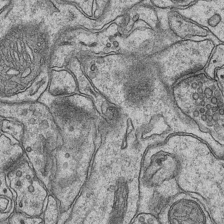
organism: Mouse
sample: CA1 Hippocampus